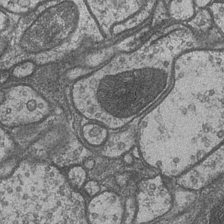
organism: Drosophila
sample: Optic medulla